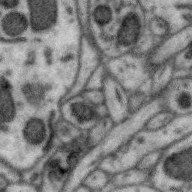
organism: Zebra finch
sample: Brain